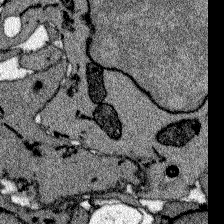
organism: Zebrafish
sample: Larval olfactory bulb